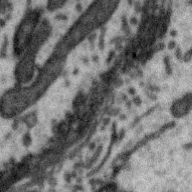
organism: Zebra finch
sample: Brain